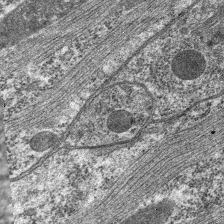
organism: C. elegans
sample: Pharynx